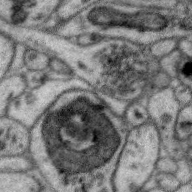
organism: Zebra finch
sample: Brain